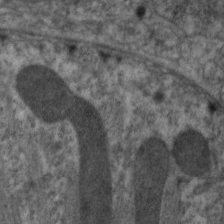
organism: C. elegans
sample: Pharynx